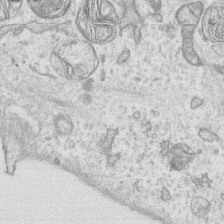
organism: Human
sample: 1205lu cells